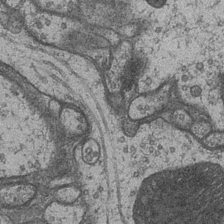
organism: Drosophila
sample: Optic medulla